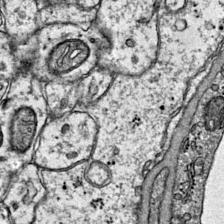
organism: Mouse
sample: Primary visual cortex